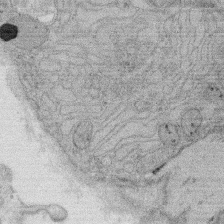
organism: Rat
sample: Salivary granule